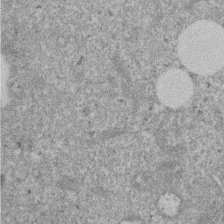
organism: Mouse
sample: Dividing mouse embryo 1 cell stage